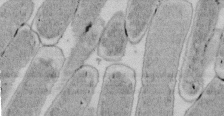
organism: E. coli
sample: Bacterial nucleoid